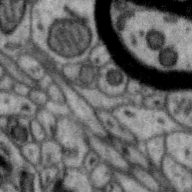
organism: Zebra finch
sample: Brain